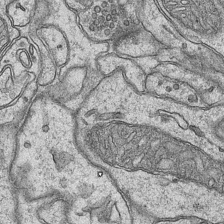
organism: Mouse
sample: CA1 Hippocampus